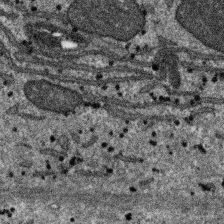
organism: Human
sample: Lung epithelial cells infected with SARS-CoV-2